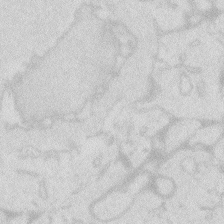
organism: Zebrafish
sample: Macrophage